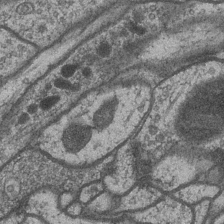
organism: Drosophila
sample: Optic medulla